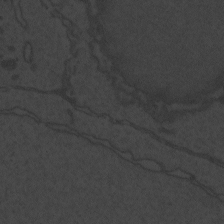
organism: Zebrafish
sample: Macrophage infected with Toxoplasma gondii